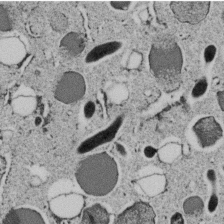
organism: C. elegans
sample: C. elegans embryo early stage